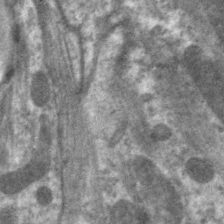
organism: C. elegans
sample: Pharynx